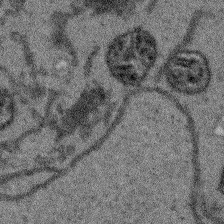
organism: Arabidopsis thaliana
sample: Root tip